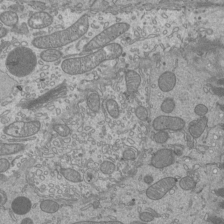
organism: Mouse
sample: Cilia; mouse epididymis